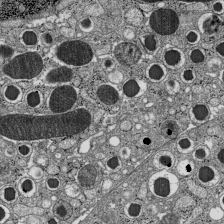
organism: C57BL Mouse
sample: Pancreatic islet